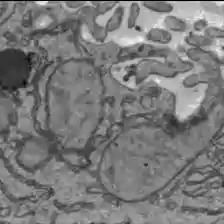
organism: C57BL Mouse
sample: Liver